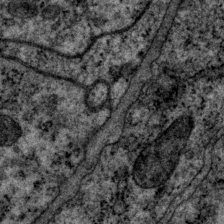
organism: P. pacificus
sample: Pharynx